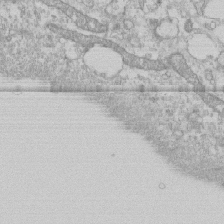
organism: Human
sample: CRL-1474